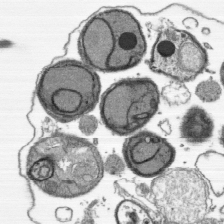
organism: Plasmodium falciparum